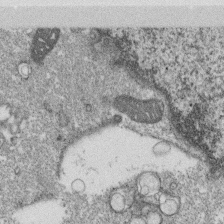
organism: African green monkey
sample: Vero E6 cells infected with SARS-CoV-2